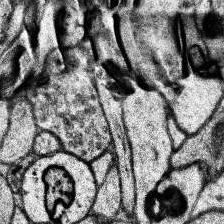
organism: Human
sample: Temporal Lobe